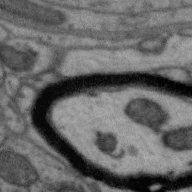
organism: Zebra finch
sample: Brain